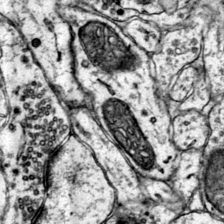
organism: Mouse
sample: Primary visual cortex